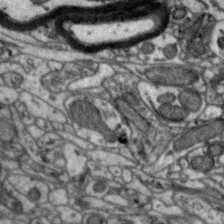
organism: Zebra finch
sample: Brain